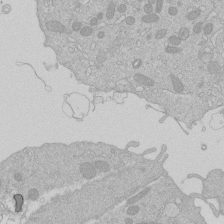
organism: Human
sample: Macrophage cells